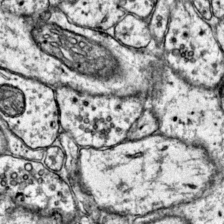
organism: Mouse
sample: Primary visual cortex